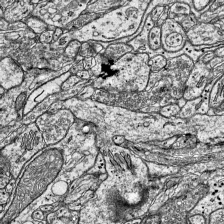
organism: Mouse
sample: Visual Cortex